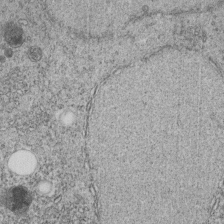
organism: C. elegans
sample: C. elegans embryo early stage